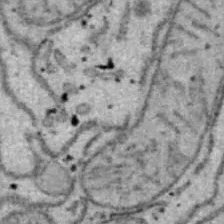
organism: Mouse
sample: Liver from an obese (ob/ob) mouse